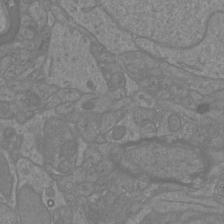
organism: Mouse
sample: Cortical neurons